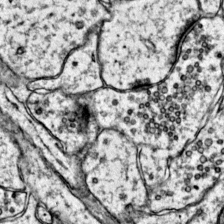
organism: Mouse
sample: Primary visual cortex